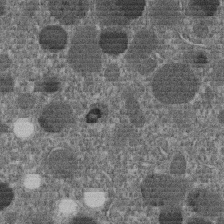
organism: C. elegans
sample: C. elegans embryo early stage